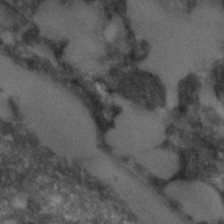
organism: C. elegans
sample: C. elegans embryo